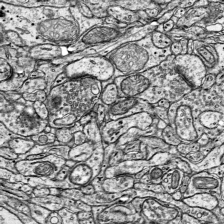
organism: Mouse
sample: Visual Cortex